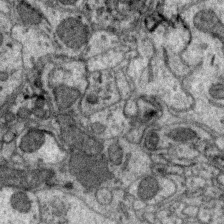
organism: Zebra finch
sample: Brain